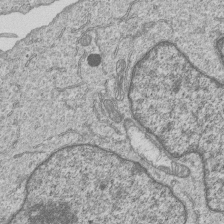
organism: Human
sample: MDA-MB-231 cells